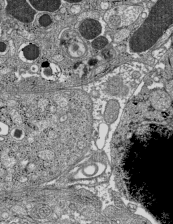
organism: C57BL Mouse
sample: Pancreatic islet